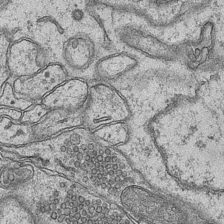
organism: Mouse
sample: CA1 Hippocampus